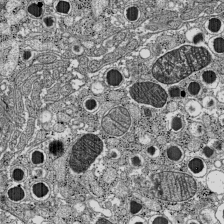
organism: C57BL Mouse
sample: Pancreatic islet